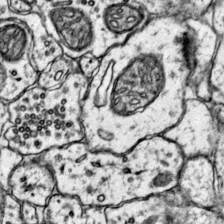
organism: Mouse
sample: Primary visual cortex